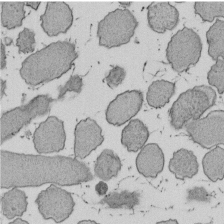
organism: E. coli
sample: Bacterial nucleoid